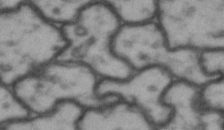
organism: Drosophila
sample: Brain